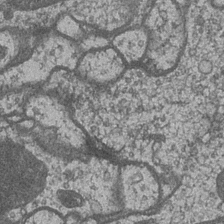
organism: Drosophila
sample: Optic medulla